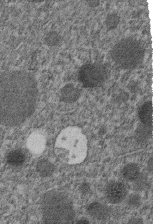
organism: C. elegans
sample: C. elegans embryo early stage